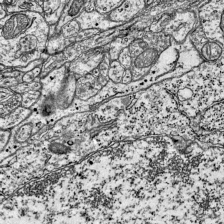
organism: Mouse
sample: Visual Cortex